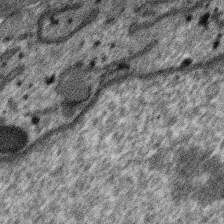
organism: Human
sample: Lung epithelial cells infected with SARS-CoV-2